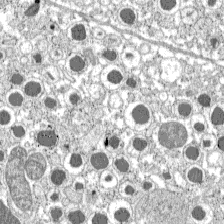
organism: C57BL Mouse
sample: Pancreatic islet